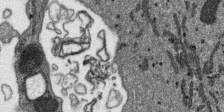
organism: Human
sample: Lung epithelial cells infected with SARS-CoV-2